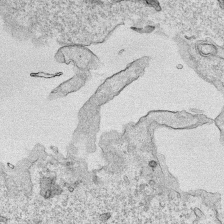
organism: Human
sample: Mitochondria in HCT116 cells